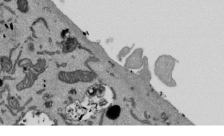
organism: Mouse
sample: ED-1 cell nuclei; centrioles